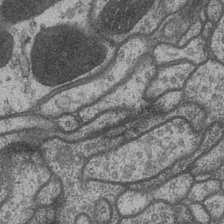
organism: Drosophila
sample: Optic medulla